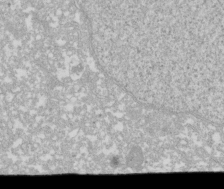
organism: Xenopus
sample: Cilia; centrioles in frog embryo cells